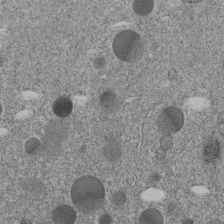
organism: C. elegans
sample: C. elegans embryo early stage